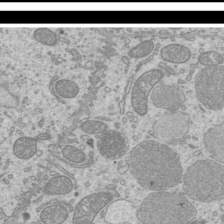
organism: Mouse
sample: Cilia; mouse epididymis